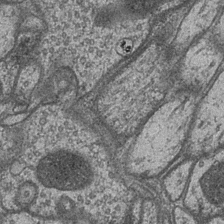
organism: Drosophila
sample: Optic medulla